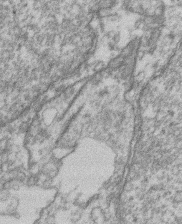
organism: Mouse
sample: T cell stromal cell synapse